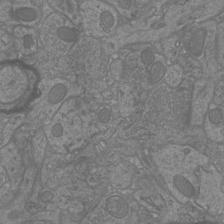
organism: Mouse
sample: Cortical neurons